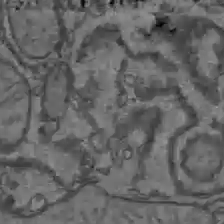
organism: C57BL Mouse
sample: Liver